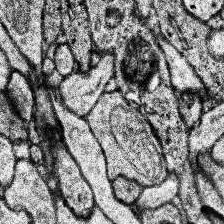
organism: Human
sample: Temporal Lobe